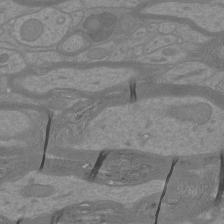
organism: Mouse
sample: Cortical neurons